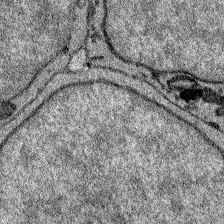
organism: Zebrafish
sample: Larval olfactory bulb